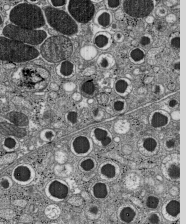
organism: C57BL Mouse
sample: Pancreatic islet